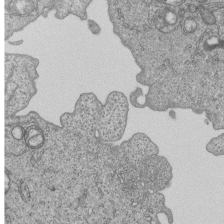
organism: Human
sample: MDA-MB-231 cells